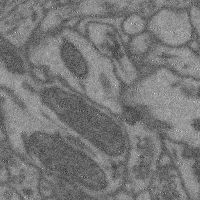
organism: Mouse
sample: Cerebral cortex